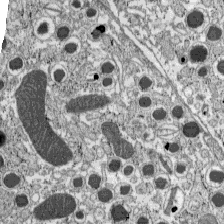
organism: C57BL Mouse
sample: Pancreatic islet